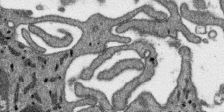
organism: Human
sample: Lung epithelial cells, uninfected (mock) control